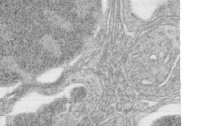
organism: Zebrafish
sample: synaptic ribbons in rod cells and cone cells